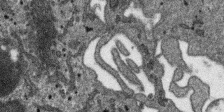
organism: Human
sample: Lung epithelial cells infected with SARS-CoV-2